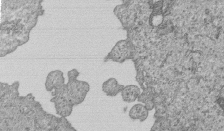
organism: Human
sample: MDA-MB-231 cells